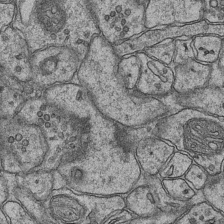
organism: Mouse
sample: CA1 Hippocampus